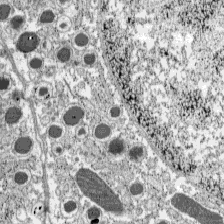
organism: C57BL Mouse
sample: Pancreatic islet